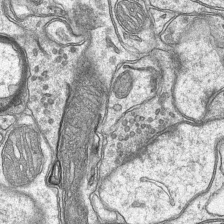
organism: Mouse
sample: CA1 Hippocampus